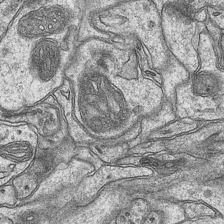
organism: Mouse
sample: CA1 Hippocampus